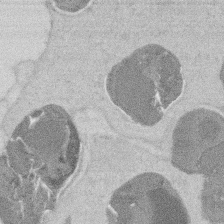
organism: Mouse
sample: T cell stromal cell synapse